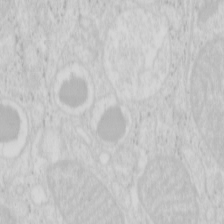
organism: Mouse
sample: Pancreas